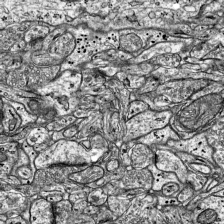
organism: Mouse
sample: Visual Cortex